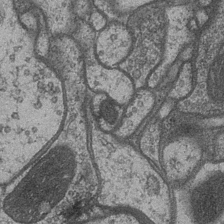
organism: Drosophila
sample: Optic medulla